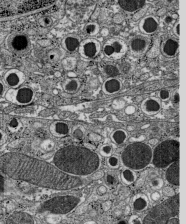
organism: C57BL Mouse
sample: Pancreatic islet